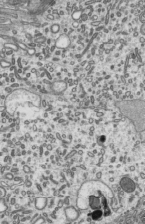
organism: Mouse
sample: Mouse epididymis efferent ductule cilia